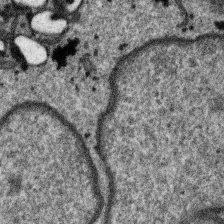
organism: Human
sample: Lung epithelial cells infected with SARS-CoV-2